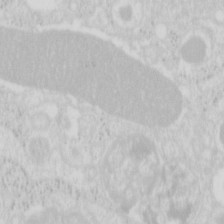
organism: Mouse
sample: Pancreas